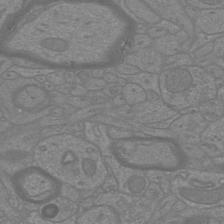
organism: Mouse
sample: Cortical neurons